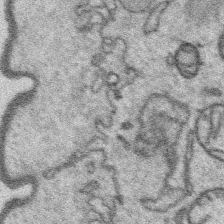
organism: Platynereis dumerilii